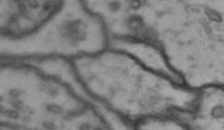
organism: Drosophila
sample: Brain